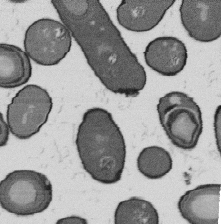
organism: B. subtilis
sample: Bacterial spore